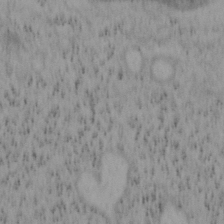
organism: Mouse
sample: OT-I killer T cells with ID8 ovarian cancer cells